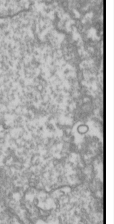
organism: Drosophila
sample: Cell division; meiosis; drosophila spermatocytes